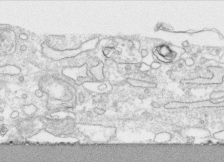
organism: Human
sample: CRL-1474